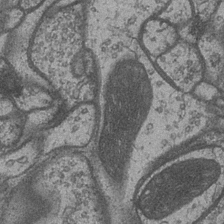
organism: Drosophila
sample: Optic medulla